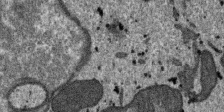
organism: Human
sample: Lung epithelial cells, uninfected (mock) control